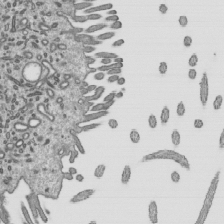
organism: Mouse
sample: Mouse epididymis efferent ductule cilia